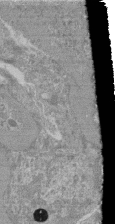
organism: Mouse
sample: Glomerulus